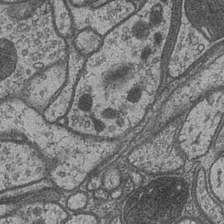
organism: Drosophila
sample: Optic medulla